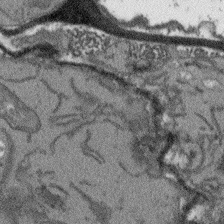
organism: Arabidopsis thaliana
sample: Root tip